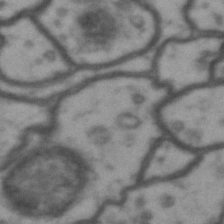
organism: Drosophila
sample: Brain